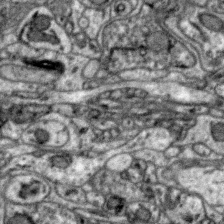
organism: Zebra finch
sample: Brain